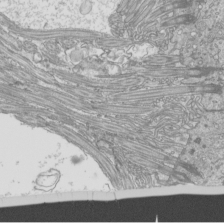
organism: Mouse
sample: Cilia; mouse epididymis